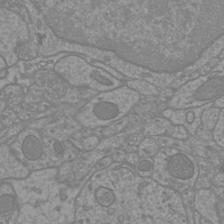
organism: Mouse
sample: Cortical neurons